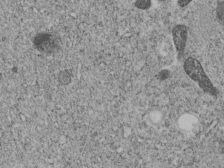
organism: C. elegans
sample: C. elegans embryo early stage